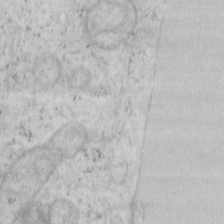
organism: Human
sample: HeLa cells